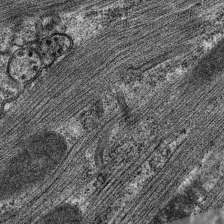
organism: C. elegans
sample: Pharynx